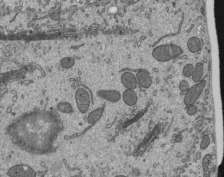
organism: Mouse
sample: Mouse epididymis efferent ductule cilia